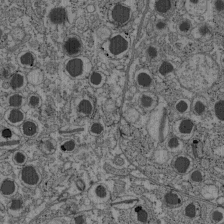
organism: C57BL Mouse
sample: Pancreatic islet